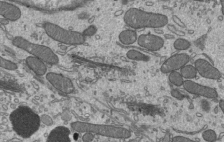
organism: Mouse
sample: Mouse epididymis efferent ductule cilia